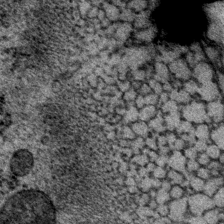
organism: P. pacificus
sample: Pharynx